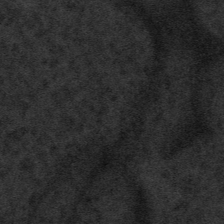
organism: Tuwongella immobilis